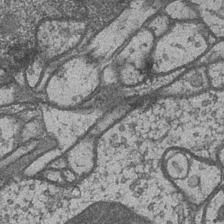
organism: Drosophila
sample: Optic medulla